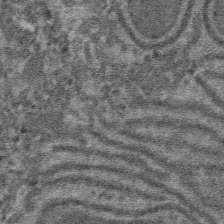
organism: Mouse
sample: Mouse hepatocytes